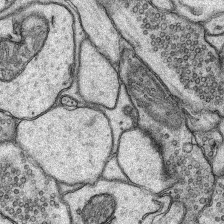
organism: Rat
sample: Hippocampus